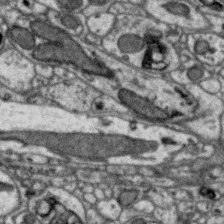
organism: Zebra finch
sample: Brain